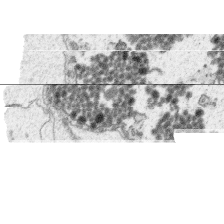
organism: Platynereis dumerilii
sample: Parapodia